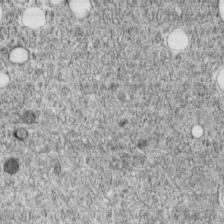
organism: C. elegans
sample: C. elegans embryo early stage